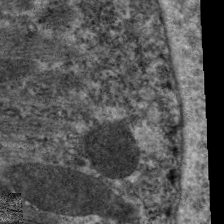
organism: C. elegans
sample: Pharynx